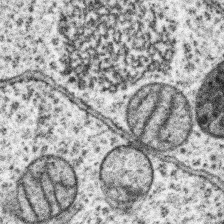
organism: Human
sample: HeLa cells